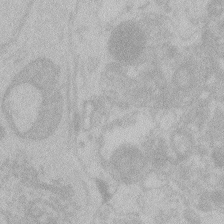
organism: Zebrafish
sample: Macrophage infected with Toxoplasma gondii